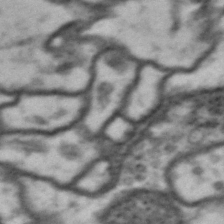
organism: Drosophila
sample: Brain